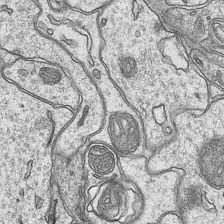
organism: Mouse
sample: CA1 Hippocampus